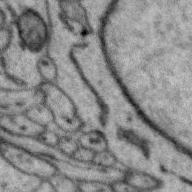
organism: Zebra finch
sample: Brain